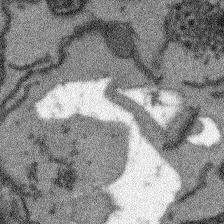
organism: Arabidopsis thaliana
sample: Root tip